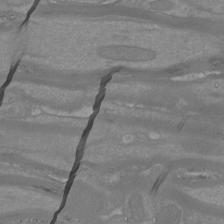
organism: Mouse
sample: Cortical neurons